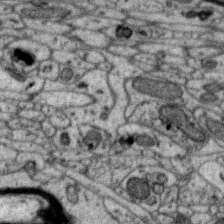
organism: Zebra finch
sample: Brain